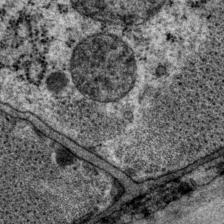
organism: P. pacificus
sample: Pharynx